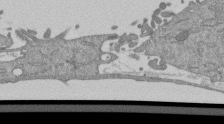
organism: Mouse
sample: ED-1 cell nuclei; centrioles